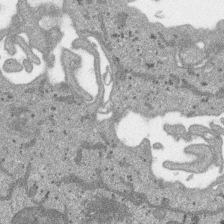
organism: Human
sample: Lung epithelial cells infected with SARS-CoV-2